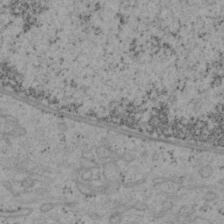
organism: Human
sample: HeLa cells